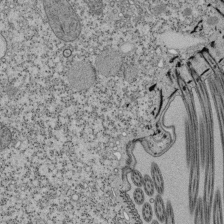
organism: Tetrahymena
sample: Cilia in tetrahymena